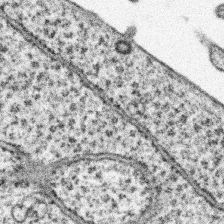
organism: Human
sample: HeLa cells